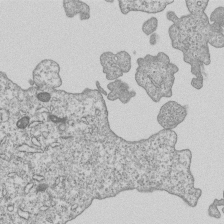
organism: Human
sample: MDA-MB-231 cells